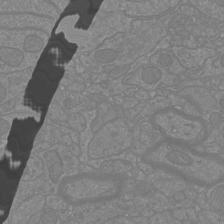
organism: Mouse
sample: Cortical neurons